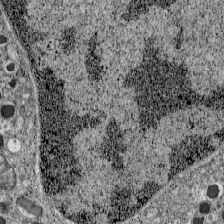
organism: C57BL Mouse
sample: Pancreatic islet